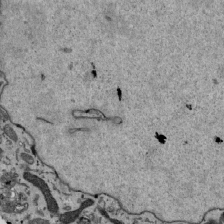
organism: Mouse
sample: ED-1 cell nuclei; centrioles